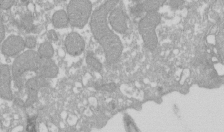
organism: Xenopus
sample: Cilia; centrioles in frog embryo cells